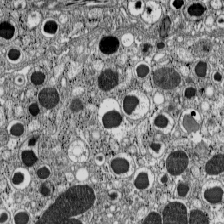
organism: C57BL Mouse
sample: Pancreatic islet